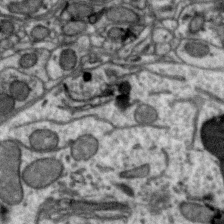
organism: Zebra finch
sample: Brain